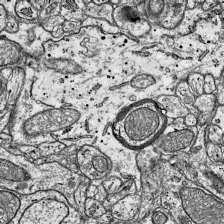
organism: Mouse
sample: Visual Cortex